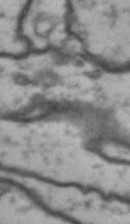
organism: Drosophila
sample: Brain